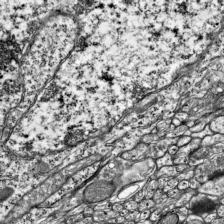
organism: Mouse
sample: Visual Cortex